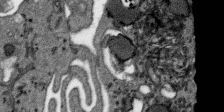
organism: Human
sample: Lung epithelial cells, uninfected (mock) control